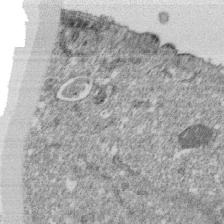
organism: African green monkey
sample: Vero E6 cells infected with SARS-CoV-2